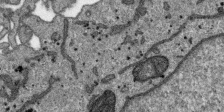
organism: Human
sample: Lung epithelial cells, uninfected (mock) control